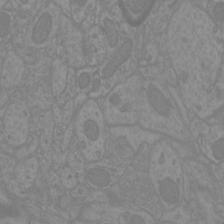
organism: Mouse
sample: Cortical neurons